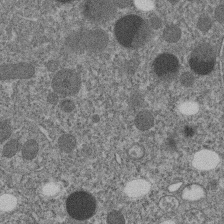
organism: C. elegans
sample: C. elegans embryo early stage